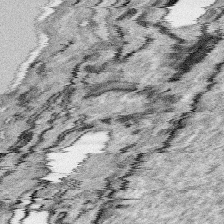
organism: Human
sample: HeLa cells